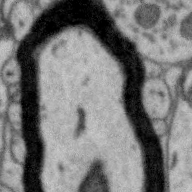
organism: Zebra finch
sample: Brain